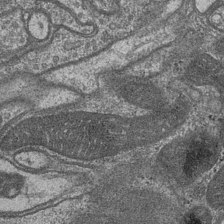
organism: Drosophila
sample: Optic medulla